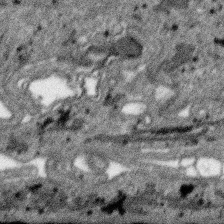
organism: Human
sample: Lung epithelial cells infected with SARS-CoV-2